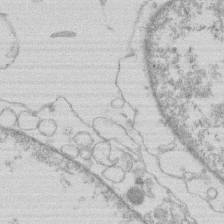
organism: Human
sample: Macrophage cells